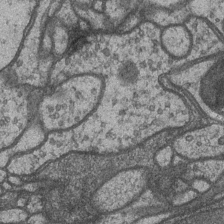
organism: Drosophila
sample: Optic medulla